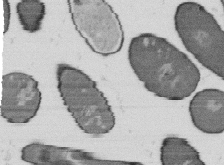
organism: B. subtilis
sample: Bacterial spore